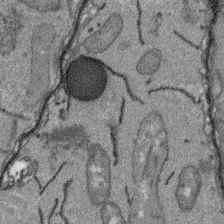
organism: Arabidopsis thaliana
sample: Root tip